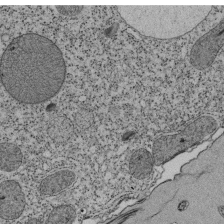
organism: Tetrahymena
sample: Cilia in tetrahymena